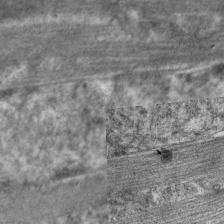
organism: C. elegans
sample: Pharynx